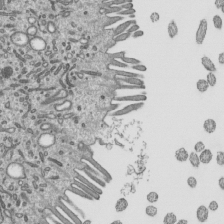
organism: Mouse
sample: Mouse epididymis efferent ductule cilia